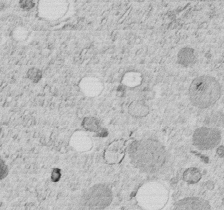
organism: C. elegans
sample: C. elegans embryo early stage